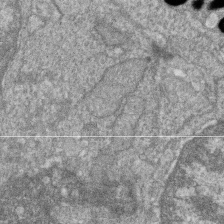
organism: Zebrafish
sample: Cilia; retinal pigment epithelium